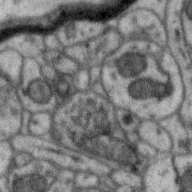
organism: Zebra finch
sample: Brain